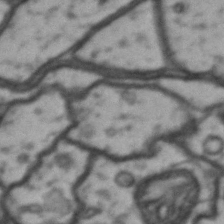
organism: Drosophila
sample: Brain